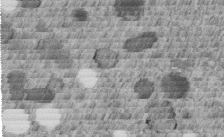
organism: C. elegans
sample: C. elegans embryo early stage